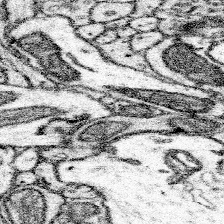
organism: Mouse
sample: Somatosensory cortex neuropil